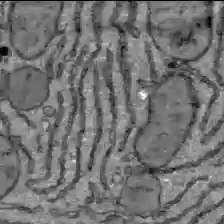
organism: C57BL Mouse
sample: Liver